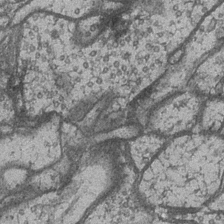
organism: Drosophila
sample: Optic medulla